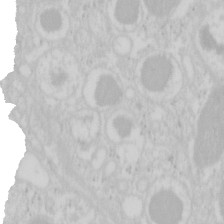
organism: Mouse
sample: Pancreas